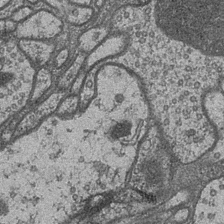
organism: Drosophila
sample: Optic medulla